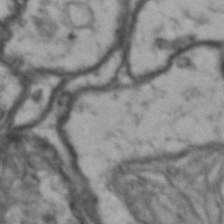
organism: Drosophila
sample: Brain